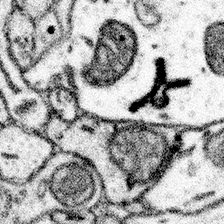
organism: Mouse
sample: Somatosensory cortex neuropil